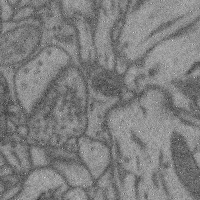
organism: Mouse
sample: Cerebral cortex